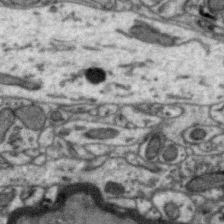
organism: Zebra finch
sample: Brain